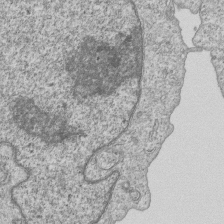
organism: Human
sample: MDA-MB-231 cells